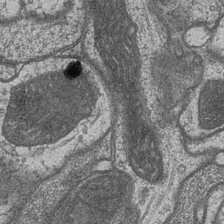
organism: Drosophila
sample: Optic medulla